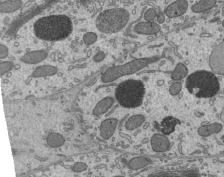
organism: Mouse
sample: Mouse epididymis efferent ductule cilia